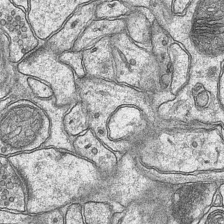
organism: Mouse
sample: CA1 Hippocampus